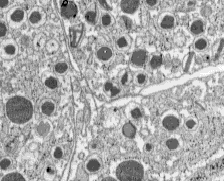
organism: C57BL Mouse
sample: Pancreatic islet